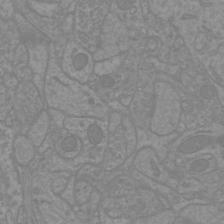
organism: Mouse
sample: Cortical neurons